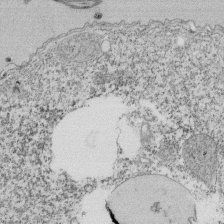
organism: Tetrahymena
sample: Cilia in tetrahymena